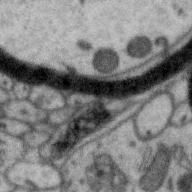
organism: Zebra finch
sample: Brain